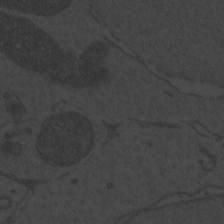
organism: Zebrafish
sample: Macrophage infected with Toxoplasma gondii